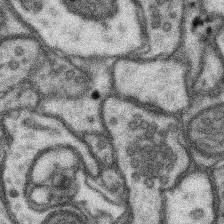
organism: Mouse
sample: Somatosensory cortex neuropil